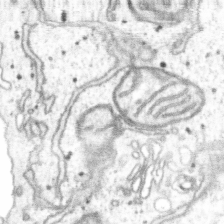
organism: Human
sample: HeLa cells